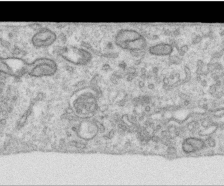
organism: Human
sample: Centriole in RPE cells